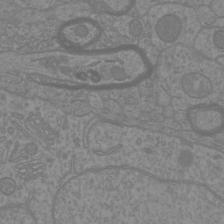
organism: Mouse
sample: Cortical neurons